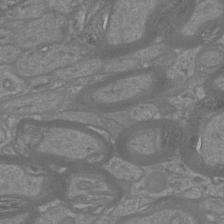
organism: Mouse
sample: Cortical neurons